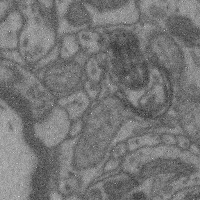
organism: Mouse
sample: Cerebral cortex